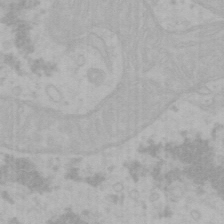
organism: Mouse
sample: Choroid plexus